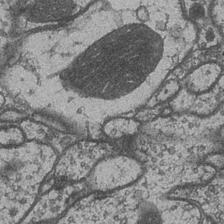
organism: Drosophila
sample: Optic medulla